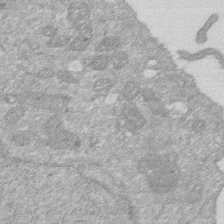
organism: Human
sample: HIV infected U937 cells